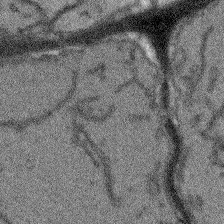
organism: Arabidopsis thaliana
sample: Root tip